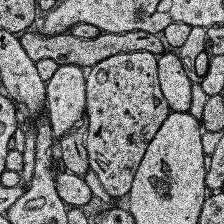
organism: Human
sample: Temporal Lobe